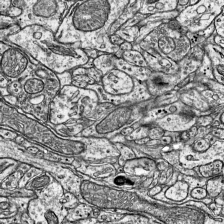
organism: Mouse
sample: Visual Cortex